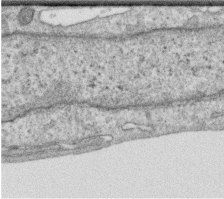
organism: Human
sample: Centriole in RPE cells